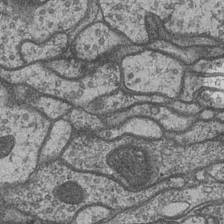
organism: Drosophila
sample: Optic medulla